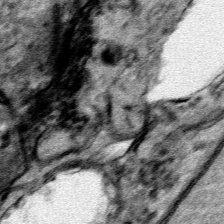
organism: Human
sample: Mitochondria in HCT116 cells